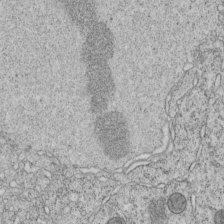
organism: C. elegans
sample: C. elegans embryo early stage